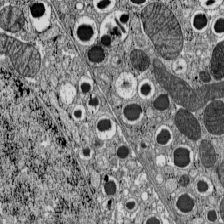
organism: C57BL Mouse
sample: Pancreatic islet